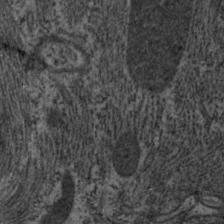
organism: C. elegans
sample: Pharynx